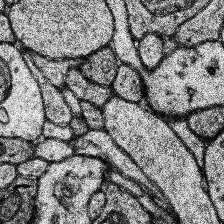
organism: Human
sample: Temporal Lobe